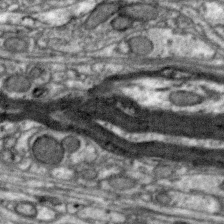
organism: Zebra finch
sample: Brain